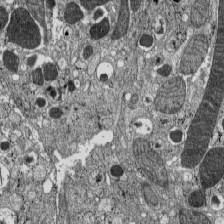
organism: C57BL Mouse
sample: Pancreatic islet